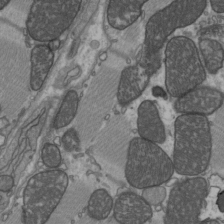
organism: C57BL Mouse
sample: Heart